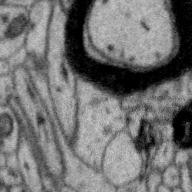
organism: Zebra finch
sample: Brain